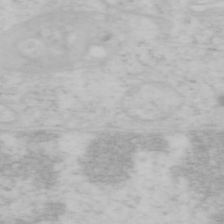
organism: Mouse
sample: OT-I killer T cells with ID8 ovarian cancer cells